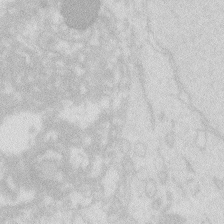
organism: Zebrafish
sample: Macrophage